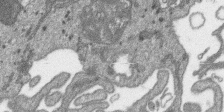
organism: Human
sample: Lung epithelial cells infected with SARS-CoV-2